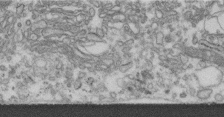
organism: Human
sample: Centriole in fibroblast cells